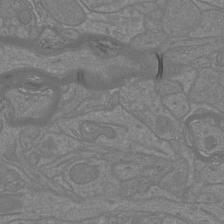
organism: Mouse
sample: Cortical neurons